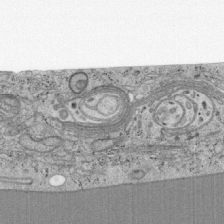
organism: Human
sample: HeLa cells